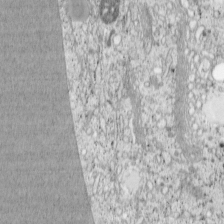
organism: African green monkey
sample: COS-7 cells